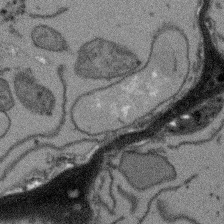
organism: Arabidopsis thaliana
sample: Root tip